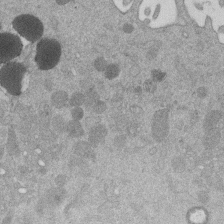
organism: Mouse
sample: Dividing mouse embryo 1 cell stage